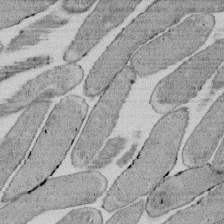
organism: E. coli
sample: Bacterial nucleoid